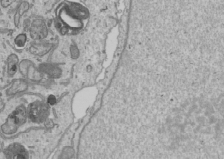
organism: Human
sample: Mitochondria in U2OS cells